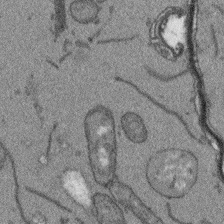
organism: Arabidopsis thaliana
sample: Root tip